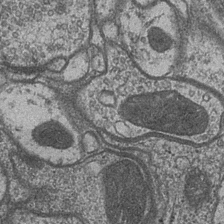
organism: Drosophila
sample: Optic medulla